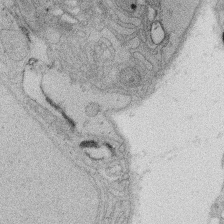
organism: Rat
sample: Salivary granule